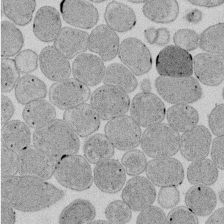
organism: E. coli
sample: Bacterial nucleoid